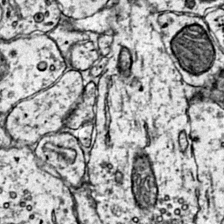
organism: Mouse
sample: Primary visual cortex